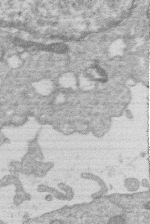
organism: Human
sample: Macrophage cells